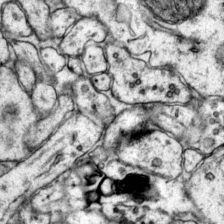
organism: Mouse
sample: Primary visual cortex